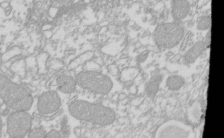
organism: Xenopus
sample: Cilia; centrioles in frog embryo cells